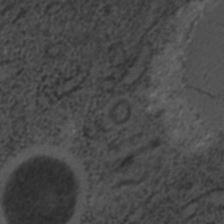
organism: C. elegans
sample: C. elegans embryo